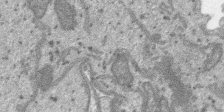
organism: Human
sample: Lung epithelial cells infected with SARS-CoV-2